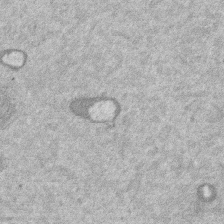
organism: Mouse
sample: Dividing mouse embryo 1 cell stage